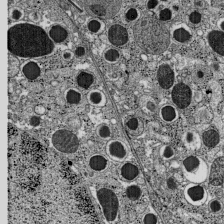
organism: C57BL Mouse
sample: Pancreatic islet